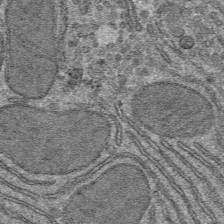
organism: Mouse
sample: Mouse hepatocytes